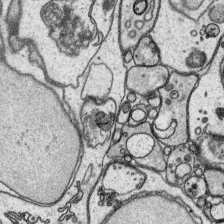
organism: Platynereis dumerilii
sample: Parapodia